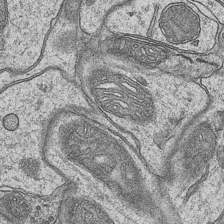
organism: Mouse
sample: CA1 Hippocampus